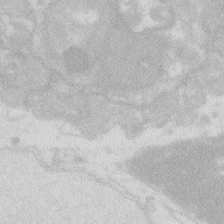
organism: Zebrafish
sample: Macrophage